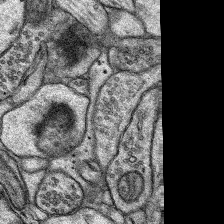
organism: Rat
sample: Hippocampus